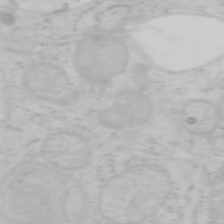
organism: Mouse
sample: OT-I killer T cells with ID8 ovarian cancer cells